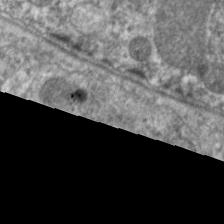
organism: C. elegans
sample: Pharynx